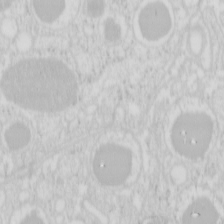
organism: Mouse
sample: Pancreas